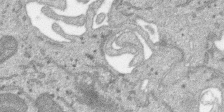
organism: Human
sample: Lung epithelial cells infected with SARS-CoV-2